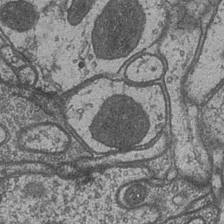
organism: Drosophila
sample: Optic medulla